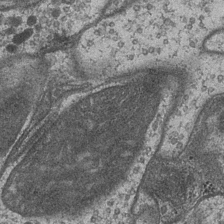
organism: Drosophila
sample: Optic medulla